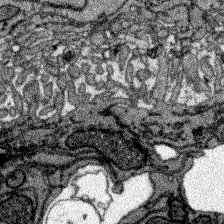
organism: Zebrafish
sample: Larval olfactory bulb